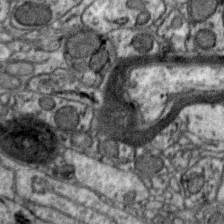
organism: Zebra finch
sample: Brain